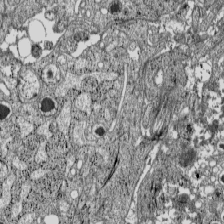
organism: C57BL Mouse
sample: Pancreatic islet